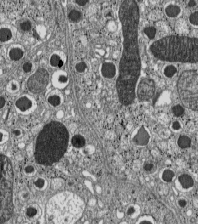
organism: C57BL Mouse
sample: Pancreatic islet